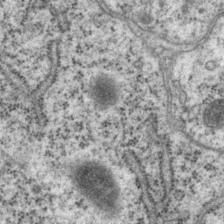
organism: P. pacificus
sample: Pharynx